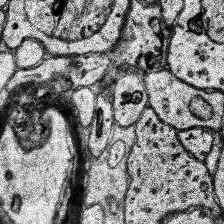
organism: Human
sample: Temporal Lobe